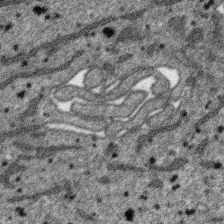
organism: Human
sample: Lung epithelial cells infected with SARS-CoV-2